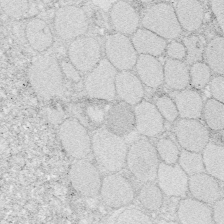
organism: Zebrafish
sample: Whole-Brain